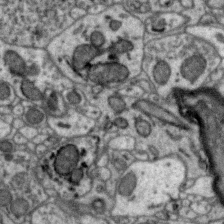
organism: Zebra finch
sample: Brain